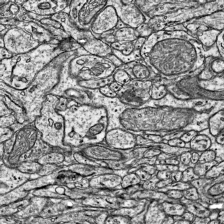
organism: Mouse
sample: Visual Cortex